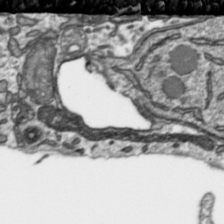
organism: Toxoplasma gondii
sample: Parasites in a vacuole inside a host cell